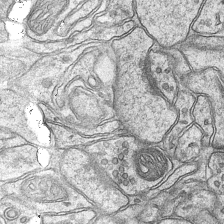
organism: Mouse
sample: CA1 Hippocampus